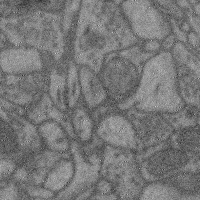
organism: Mouse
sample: Cerebral cortex